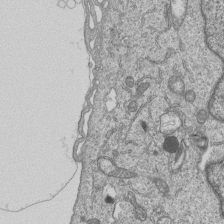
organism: Human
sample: MDA-MB-231 cells